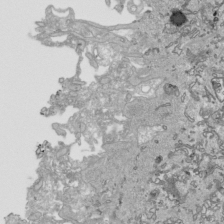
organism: Human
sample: Mitochondria in HCT116 cells